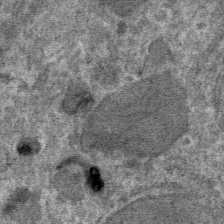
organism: Mouse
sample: Mouse hepatocytes